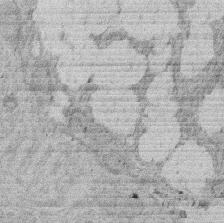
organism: Rat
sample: Salivary granule